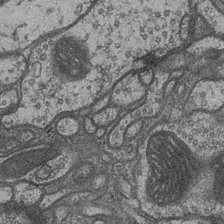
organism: Drosophila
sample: Optic medulla